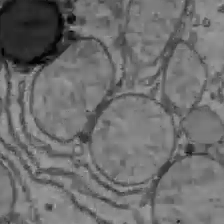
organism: C57BL Mouse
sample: Liver